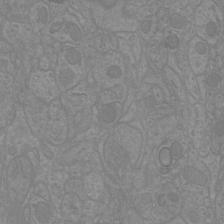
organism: Mouse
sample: Cortical neurons